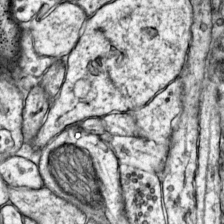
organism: Mouse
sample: Primary visual cortex